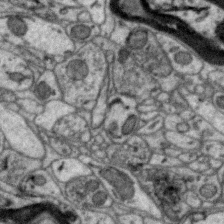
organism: Zebra finch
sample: Brain